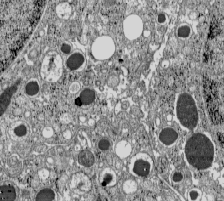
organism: C57BL Mouse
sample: Pancreatic islet